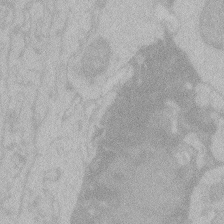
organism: Zebrafish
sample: Macrophage infected with Toxoplasma gondii